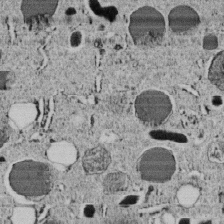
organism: C. elegans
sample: C. elegans embryo early stage